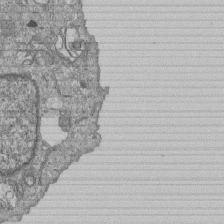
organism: Human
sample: MDA-MB-231 cells